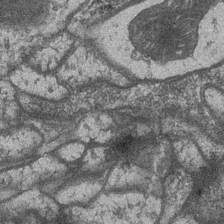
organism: Drosophila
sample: Optic medulla